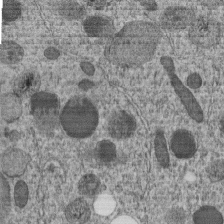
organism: C. elegans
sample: C. elegans embryo early stage